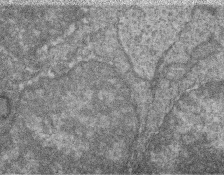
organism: Zebrafish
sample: Cilia; retinal pigment epithelium